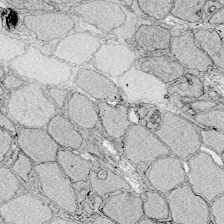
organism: Zebrafish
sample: Whole-Brain